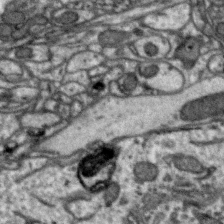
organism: Zebra finch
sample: Brain